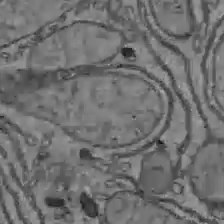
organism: C57BL Mouse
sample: Liver